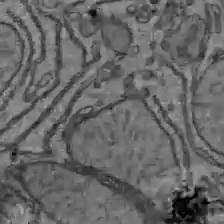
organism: C57BL Mouse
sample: Liver